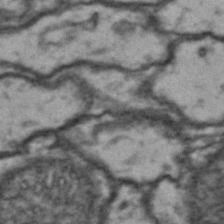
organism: Drosophila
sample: Brain